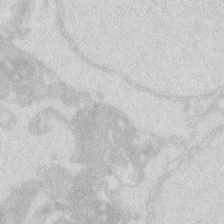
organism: Zebrafish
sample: Macrophage